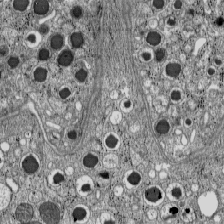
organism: C57BL Mouse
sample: Pancreatic islet